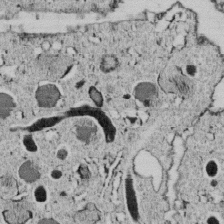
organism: C. elegans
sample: C. elegans embryo early stage